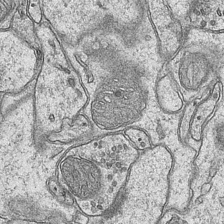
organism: Mouse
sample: CA1 Hippocampus